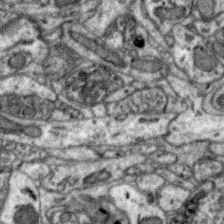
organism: Zebra finch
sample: Brain